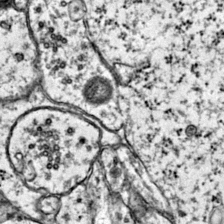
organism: Mouse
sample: Primary visual cortex